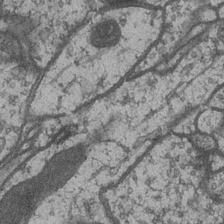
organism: Drosophila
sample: Optic medulla